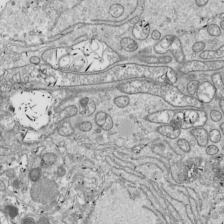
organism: Drosophila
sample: Cell division; meiosis; drosophila spermatocytes